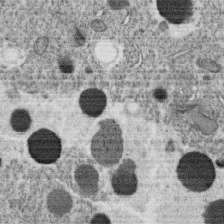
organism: C. elegans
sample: C. elegans oocyte; sperm cells